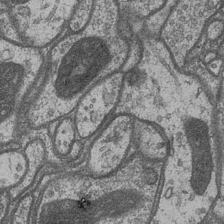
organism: Drosophila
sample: Optic medulla